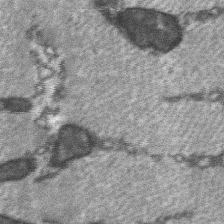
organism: C57BL Mouse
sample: Soleus